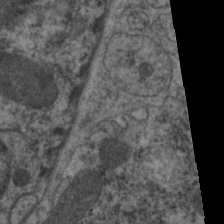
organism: C. elegans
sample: Pharynx